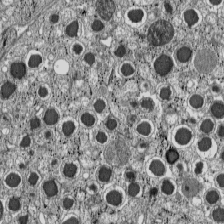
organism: C57BL Mouse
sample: Pancreatic islet